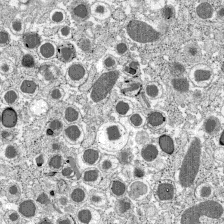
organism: C57BL Mouse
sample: Pancreatic islet